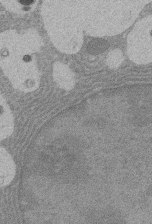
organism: Rat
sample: Salivary granule